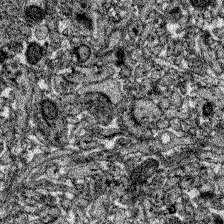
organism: Zebrafish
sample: Larval olfactory bulb